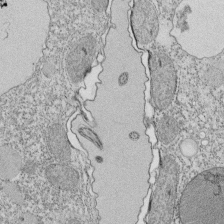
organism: Tetrahymena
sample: Cilia in tetrahymena